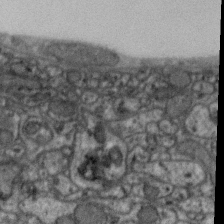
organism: Zebra finch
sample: Brain